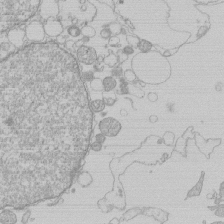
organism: Human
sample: Macrophage cells